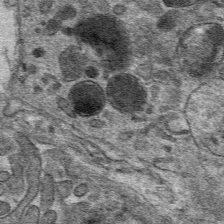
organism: Mouse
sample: Mouse hepatocytes